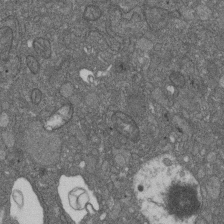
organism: Drosophila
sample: Nephrocyte